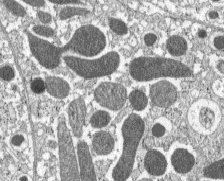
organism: C57BL Mouse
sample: Pancreatic islet